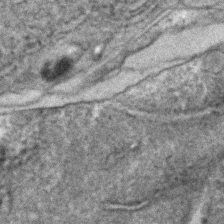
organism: C. elegans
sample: C. elegans embryo